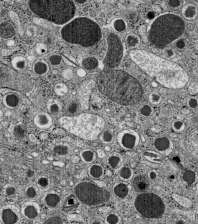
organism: C57BL Mouse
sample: Pancreatic islet